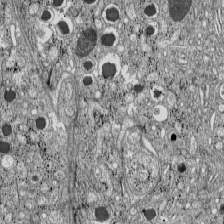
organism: C57BL Mouse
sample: Pancreatic islet